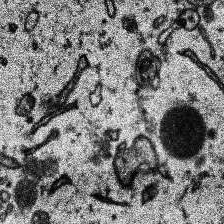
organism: Human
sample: Temporal Lobe